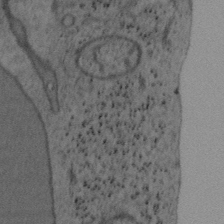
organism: Human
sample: HeLa cells